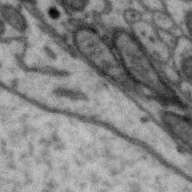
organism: Zebra finch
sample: Brain